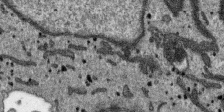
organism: Human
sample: Lung epithelial cells, uninfected (mock) control